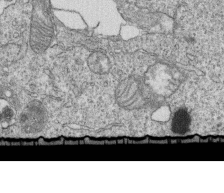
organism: Human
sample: HeLa cell HIV synapse